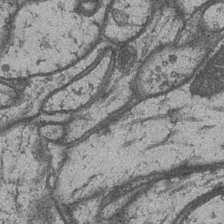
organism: Drosophila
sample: Optic medulla